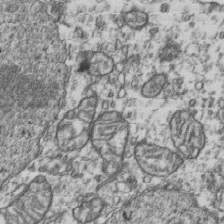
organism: Human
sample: Activated Jurkat CD4+ T cells